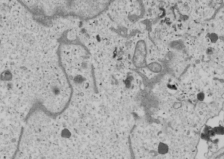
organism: Human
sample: Mitochondria in U2OS cells